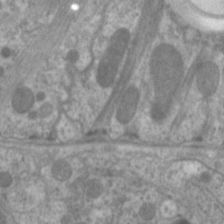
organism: C. elegans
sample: Pharynx